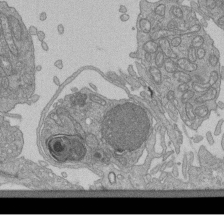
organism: Human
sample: Retinal organoid Rod and Cone cells